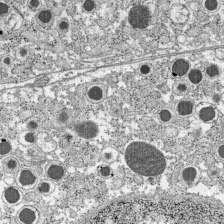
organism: C57BL Mouse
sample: Pancreatic islet